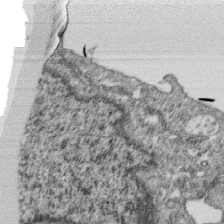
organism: African green monkey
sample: Vero E6 cells infected with SARS-CoV-2